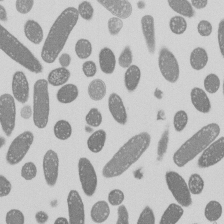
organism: E. coli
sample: Bacterial nucleoid